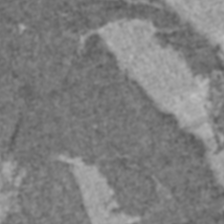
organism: C57BL Mouse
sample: Heart